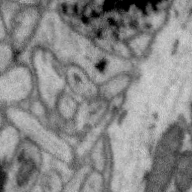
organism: Zebra finch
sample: Brain